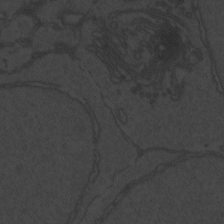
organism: Zebrafish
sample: Macrophage infected with Toxoplasma gondii